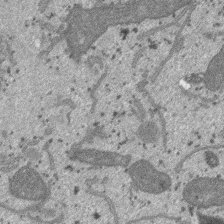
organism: Human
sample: Lung epithelial cells infected with SARS-CoV-2